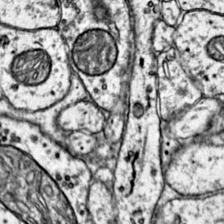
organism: Mouse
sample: Primary visual cortex